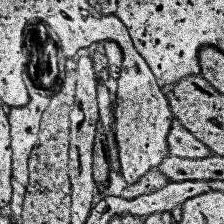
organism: Human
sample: Temporal Lobe